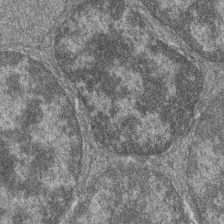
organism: Zebrafish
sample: Cilia; retinal pigment epithelium